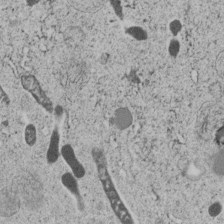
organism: C. elegans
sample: C. elegans embryo early stage